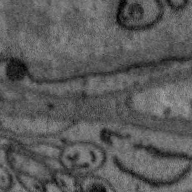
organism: Zebra finch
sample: Brain